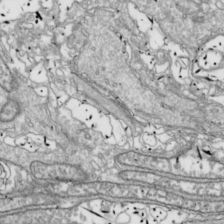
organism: Drosophila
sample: Cell division; meiosis; drosophila spermatocytes